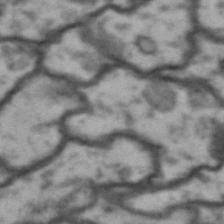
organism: Drosophila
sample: Brain